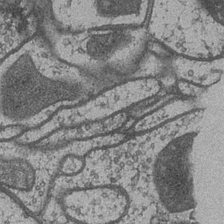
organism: Drosophila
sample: Optic medulla